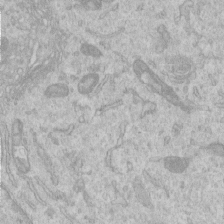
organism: Human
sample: Centriole in RPE cells